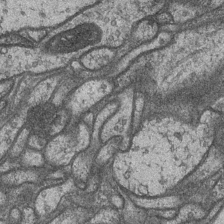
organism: Drosophila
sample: Optic medulla